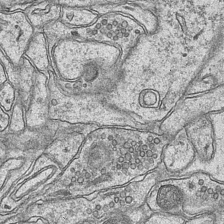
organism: Mouse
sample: CA1 Hippocampus